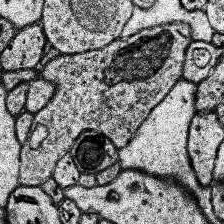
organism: Human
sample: Temporal Lobe